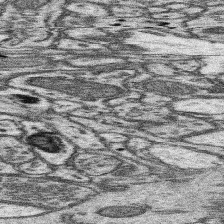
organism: Mouse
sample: Somatosensory cortex neuropil